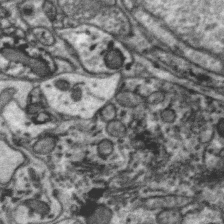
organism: Zebra finch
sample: Brain